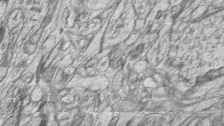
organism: Zebrafish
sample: synaptic ribbons in rod cells and cone cells